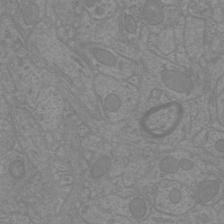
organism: Mouse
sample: Cortical neurons